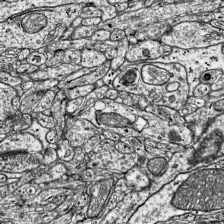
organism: Mouse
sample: Visual Cortex